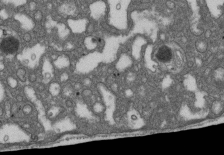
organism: Drosophila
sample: Nephrocyte